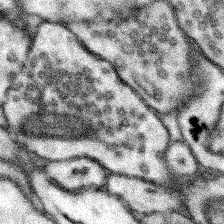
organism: Mouse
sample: Somatosensory cortex neuropil